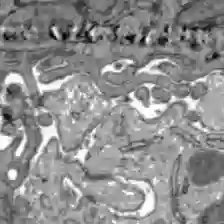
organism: C57BL Mouse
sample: Liver